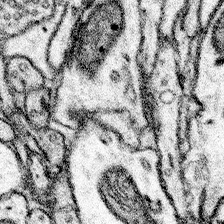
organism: Mouse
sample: Somatosensory cortex neuropil